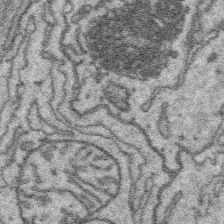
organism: Platynereis dumerilii